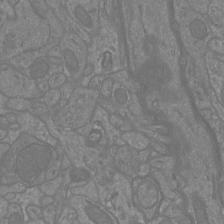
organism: Mouse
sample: Cortical neurons